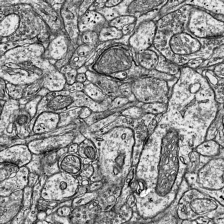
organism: Mouse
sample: Visual Cortex